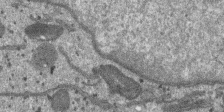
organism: Human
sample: Lung epithelial cells infected with SARS-CoV-2